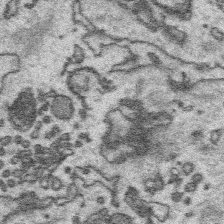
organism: Platynereis dumerilii